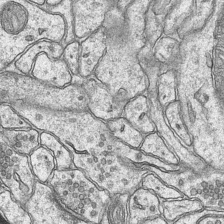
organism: Mouse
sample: CA1 Hippocampus